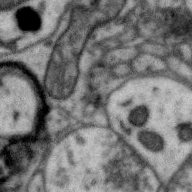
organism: Zebra finch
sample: Brain